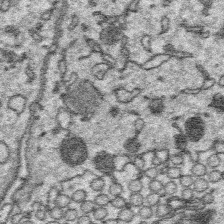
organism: Platynereis dumerilii